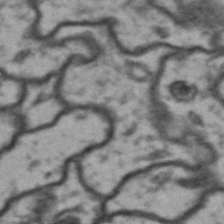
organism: Drosophila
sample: Brain